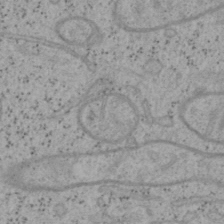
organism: Human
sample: HeLa cells